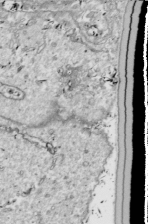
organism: Drosophila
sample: Cell division; meiosis; drosophila spermatocytes